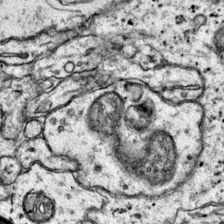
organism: Mouse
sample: Primary visual cortex